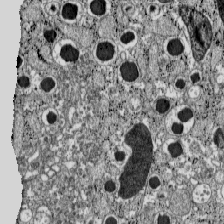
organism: C57BL Mouse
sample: Pancreatic islet